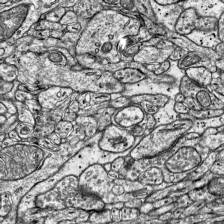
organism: Mouse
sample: Visual Cortex